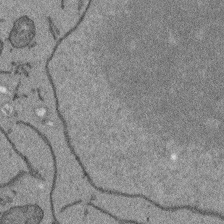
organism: Arabidopsis thaliana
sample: Root tip